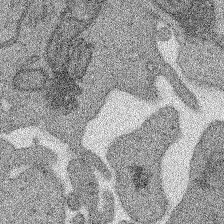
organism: Human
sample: HeLa cells